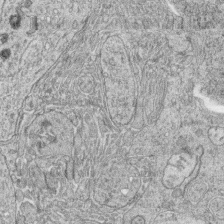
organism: Zebrafish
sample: synaptic ribbons in rod cells and cone cells